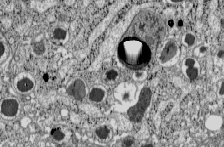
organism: C57BL Mouse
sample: Pancreatic islet